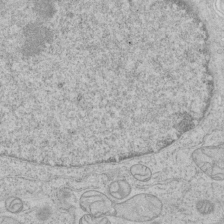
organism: Human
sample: Mitochondria in HCT116 cells